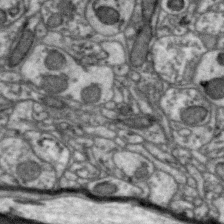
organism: Zebra finch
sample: Brain